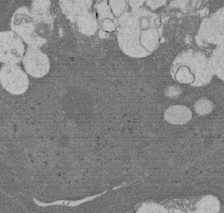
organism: Rat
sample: Salivary granule